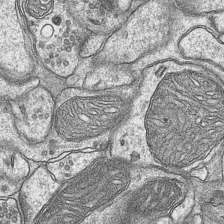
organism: Mouse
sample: CA1 Hippocampus